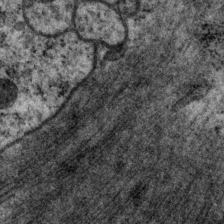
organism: P. pacificus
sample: Pharynx